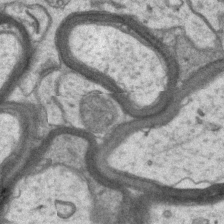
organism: Mouse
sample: CA1 Hippocampus